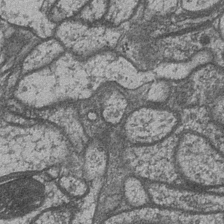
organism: Drosophila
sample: Optic medulla